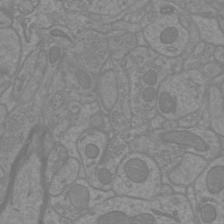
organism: Mouse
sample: Cortical neurons